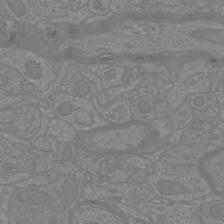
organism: Mouse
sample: Cortical neurons